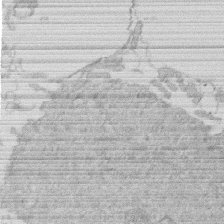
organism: Human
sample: Macrophage cells